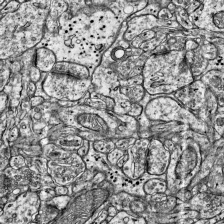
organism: Mouse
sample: Visual Cortex